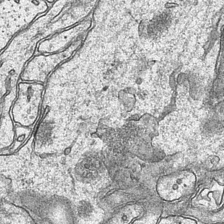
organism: Mouse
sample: CA1 Hippocampus